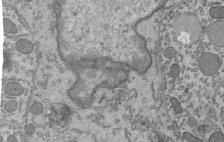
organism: Mouse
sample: Mouse epididymis efferent ductule cilia